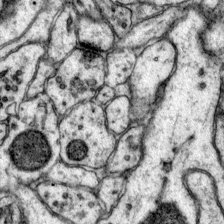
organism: Mouse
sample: Primary visual cortex